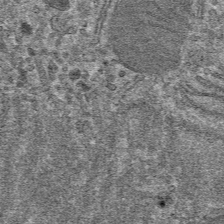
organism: Mouse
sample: Mouse hepatocytes